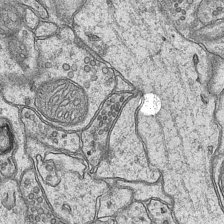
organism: Mouse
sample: CA1 Hippocampus